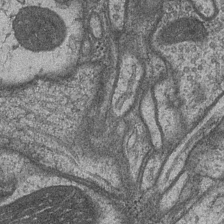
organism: Drosophila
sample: Optic medulla